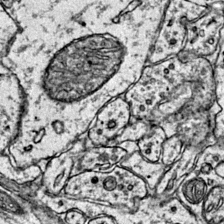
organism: Mouse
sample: Primary visual cortex